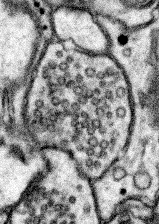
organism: Mouse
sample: Somatosensory cortex neuropil